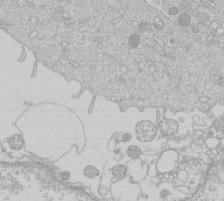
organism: Human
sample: Macrophage cells